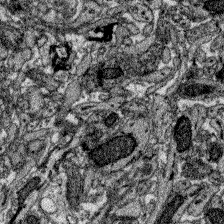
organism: Zebrafish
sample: Larval olfactory bulb